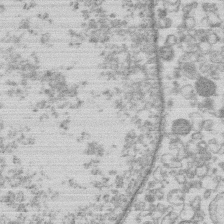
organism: Human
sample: Macrophage cells